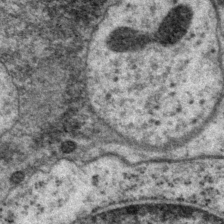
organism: P. pacificus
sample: Pharynx